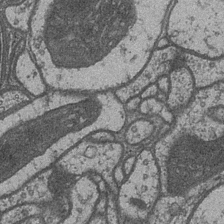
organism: Drosophila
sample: Optic medulla